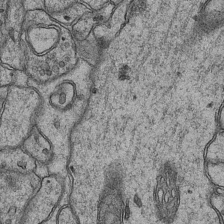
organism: Mouse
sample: CA1 Hippocampus